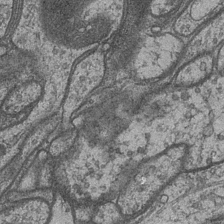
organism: Drosophila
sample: Optic medulla